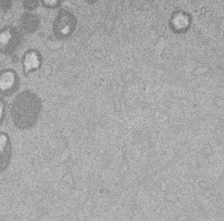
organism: Mouse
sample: Dividing mouse embryo 1 cell stage